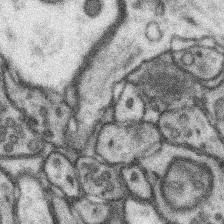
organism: Mouse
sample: Somatosensory cortex neuropil